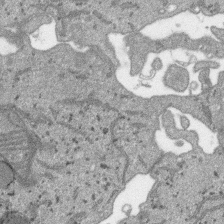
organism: Human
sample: Lung epithelial cells infected with SARS-CoV-2